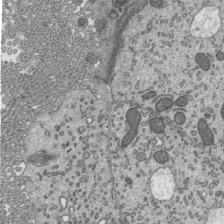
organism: Mouse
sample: Mouse epididymis efferent ductule cilia